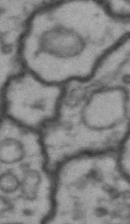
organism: Drosophila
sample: Brain